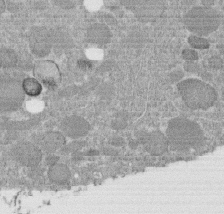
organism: C. elegans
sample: C. elegans embryo early stage